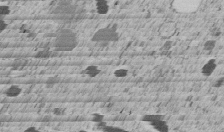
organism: C. elegans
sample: C. elegans embryo early stage